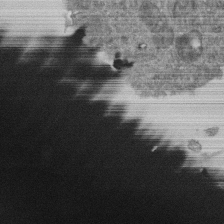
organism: Human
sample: Retinal organoid Rod and Cone cells